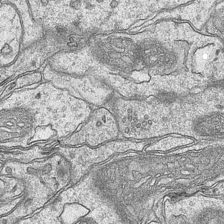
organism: Mouse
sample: CA1 Hippocampus